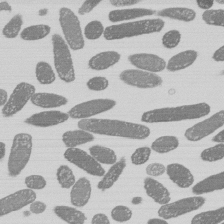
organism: E. coli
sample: Bacterial nucleoid